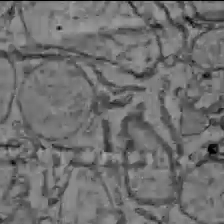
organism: C57BL Mouse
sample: Liver